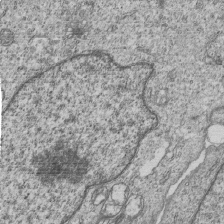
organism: Human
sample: MDA-MB-231 cells